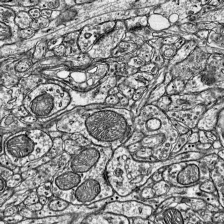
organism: Mouse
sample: Visual Cortex